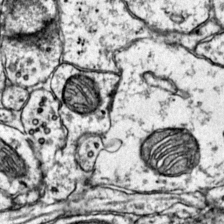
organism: Mouse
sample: Primary visual cortex